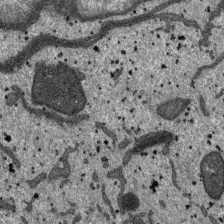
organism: Human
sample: Lung epithelial cells, uninfected (mock) control